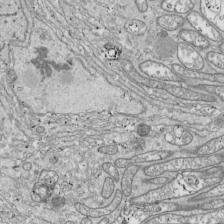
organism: Drosophila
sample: Cell division; meiosis; drosophila spermatocytes